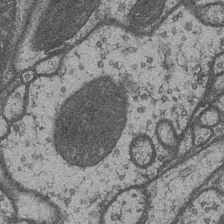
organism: Drosophila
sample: Optic medulla